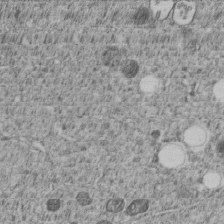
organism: C. elegans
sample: C. elegans embryo early stage